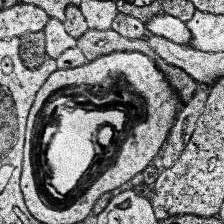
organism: Human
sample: Temporal Lobe